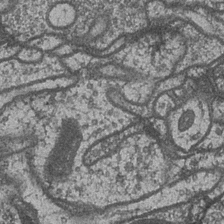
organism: Drosophila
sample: Optic medulla